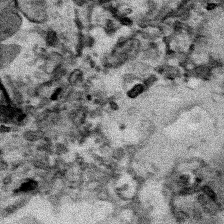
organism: Human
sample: Mitochondria in HCT116 cells